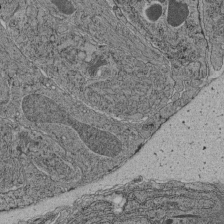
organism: C. elegans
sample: C. elegans pharynx